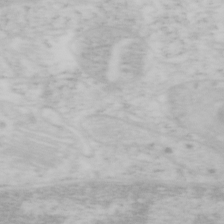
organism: Mouse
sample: OT-I killer T cells with ID8 ovarian cancer cells